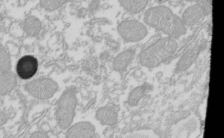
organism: Xenopus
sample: Cilia; centrioles in frog embryo cells